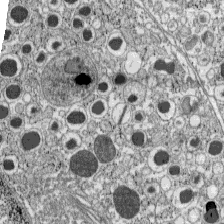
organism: C57BL Mouse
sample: Pancreatic islet